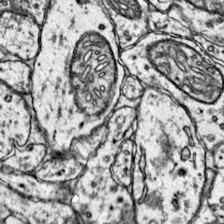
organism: Mouse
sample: Primary visual cortex